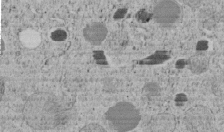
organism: C. elegans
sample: C. elegans embryo early stage